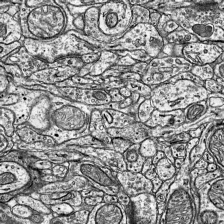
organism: Mouse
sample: Visual Cortex